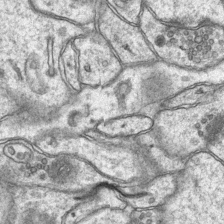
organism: Mouse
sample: CA1 Hippocampus